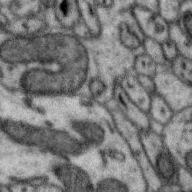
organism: Zebra finch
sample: Brain